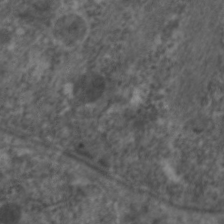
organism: C. elegans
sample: Pharynx